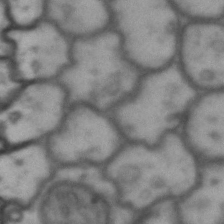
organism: Drosophila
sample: Brain